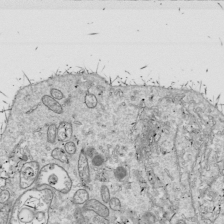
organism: Drosophila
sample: Cell division; meiosis; drosophila spermatocytes